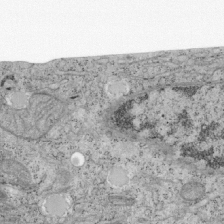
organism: Human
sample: HeLa cells